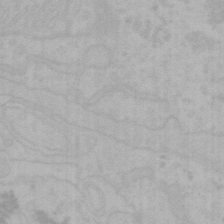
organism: Mouse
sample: Choroid plexus